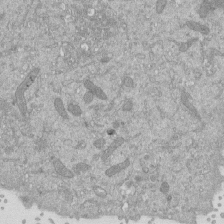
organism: Mouse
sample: ED-1 cell nuclei; centrioles